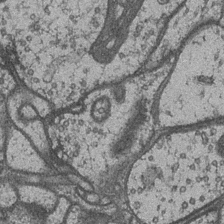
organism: Drosophila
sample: Optic medulla